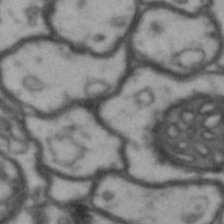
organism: Drosophila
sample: Brain